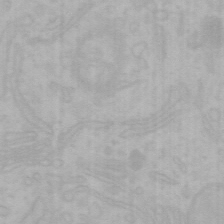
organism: Mouse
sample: Choroid plexus